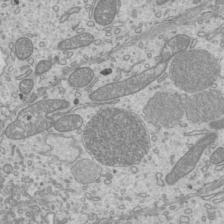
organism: Mouse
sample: Cilia; mouse epididymis